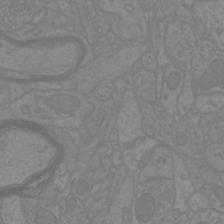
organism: Mouse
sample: Cortical neurons